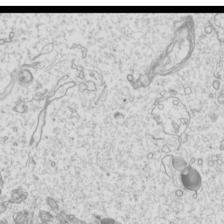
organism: Mouse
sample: Cilia; mouse epididymis